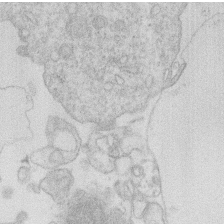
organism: Human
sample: Macrophage cells